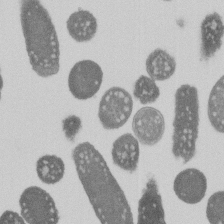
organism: E. coli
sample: Bacterial nucleoid